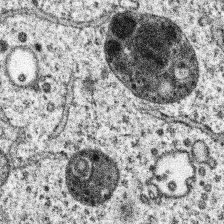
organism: Human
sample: HeLa cells